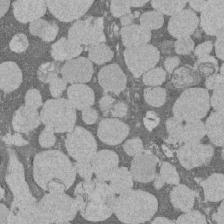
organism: Rat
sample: Salivary granule